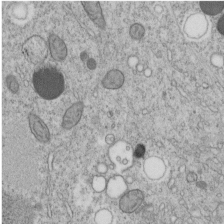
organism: C. elegans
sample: C. elegans embryo early stage